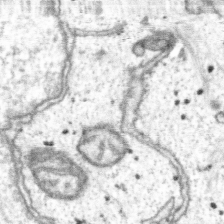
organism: Human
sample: HeLa cells